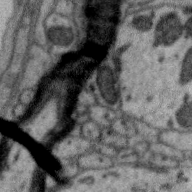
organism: Zebra finch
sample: Brain